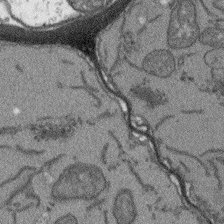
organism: Arabidopsis thaliana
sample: Root tip